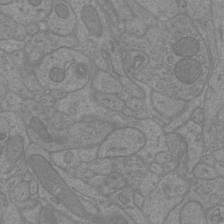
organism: Mouse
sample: Cortical neurons